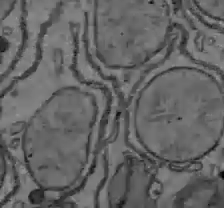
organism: C57BL Mouse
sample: Liver